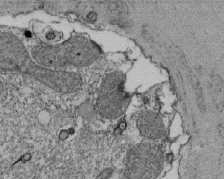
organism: Tetrahymena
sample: Cilia in tetrahymena